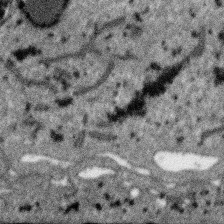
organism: Human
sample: Lung epithelial cells infected with SARS-CoV-2